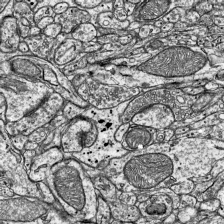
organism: Mouse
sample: Visual Cortex